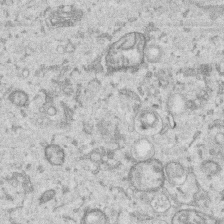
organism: Human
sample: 1205lu cells